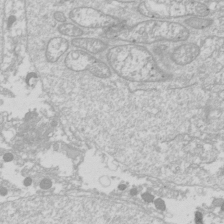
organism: Drosophila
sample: Cell division; meiosis; drosophila spermatocytes